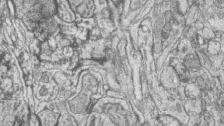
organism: Zebrafish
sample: synaptic ribbons in rod cells and cone cells